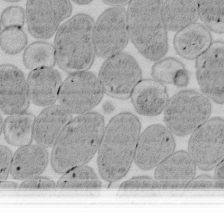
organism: E. coli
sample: Bacterial nucleoid